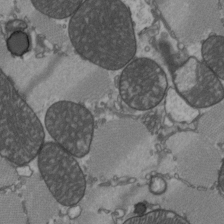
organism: C57BL Mouse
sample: Heart